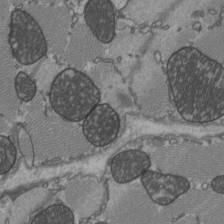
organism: C57BL Mouse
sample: Heart